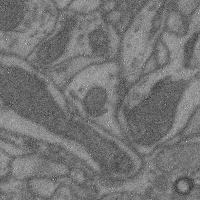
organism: Mouse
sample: Cerebral cortex